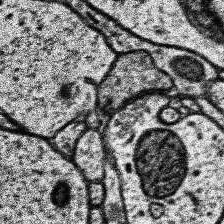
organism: Human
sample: Temporal Lobe